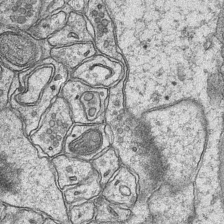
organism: Mouse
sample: CA1 Hippocampus